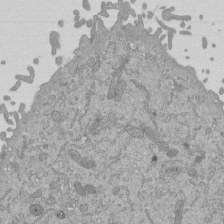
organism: Mouse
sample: ED-1 cell nuclei; centrioles